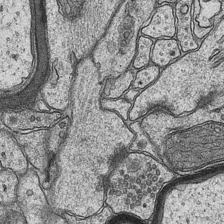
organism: Mouse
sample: CA1 Hippocampus